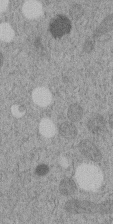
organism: C. elegans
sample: C. elegans embryo early stage